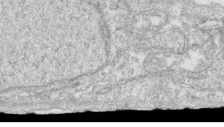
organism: Human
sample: HeLa cell HIV synapse